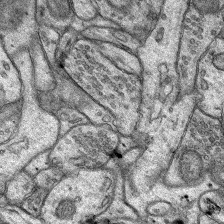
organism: Rat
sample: Hippocampus